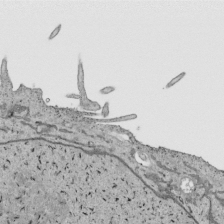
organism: Human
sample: Mitochondria in HCT116 cells